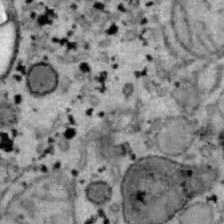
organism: Mouse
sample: Liver from an obese (ob/ob) mouse